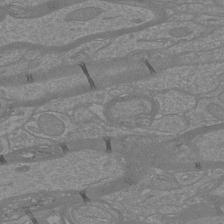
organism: Mouse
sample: Cortical neurons